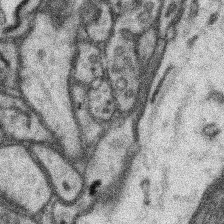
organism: Mouse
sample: Somatosensory cortex neuropil